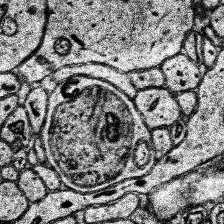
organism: Human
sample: Temporal Lobe